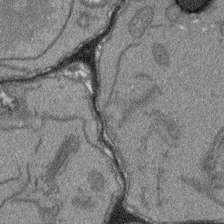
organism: Arabidopsis thaliana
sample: Root tip